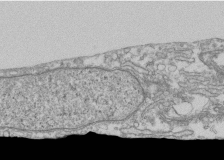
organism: Human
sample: Fibroblast cells